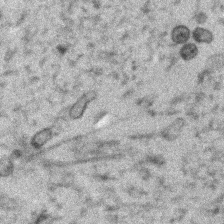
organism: Human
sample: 1205lu cells